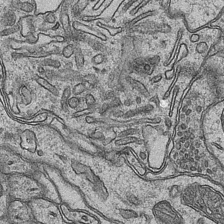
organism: Mouse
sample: CA1 Hippocampus